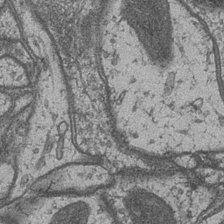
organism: Drosophila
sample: Optic medulla